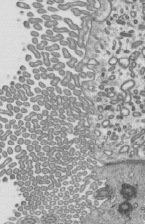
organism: Mouse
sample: Mouse epididymis efferent ductule cilia